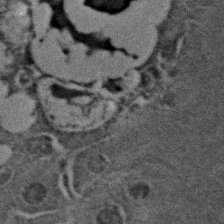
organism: C. elegans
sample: C. elegans embryo